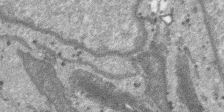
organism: Human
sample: Lung epithelial cells infected with SARS-CoV-2